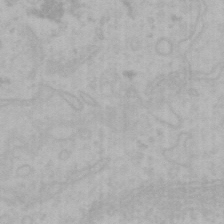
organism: Mouse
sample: Choroid plexus